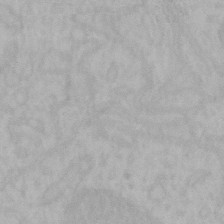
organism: Mouse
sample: Choroid plexus